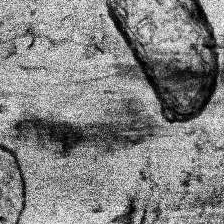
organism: Human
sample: Temporal Lobe